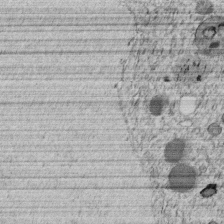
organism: C. elegans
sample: C. elegans embryo early stage